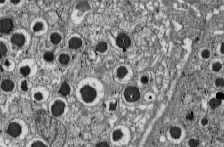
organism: C57BL Mouse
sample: Pancreatic islet